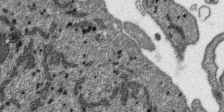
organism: Human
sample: Lung epithelial cells infected with SARS-CoV-2